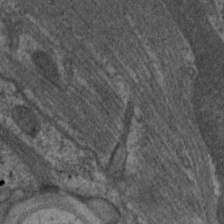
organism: C. elegans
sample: Pharynx